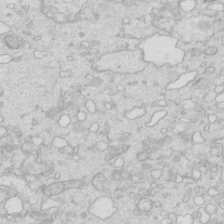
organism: Mouse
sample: Multiciliated cells